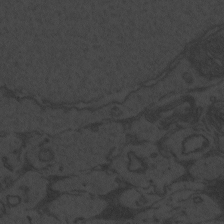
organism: Zebrafish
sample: Macrophage infected with Toxoplasma gondii